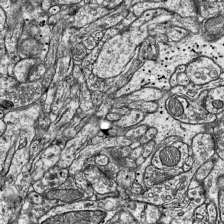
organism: Mouse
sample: Visual Cortex